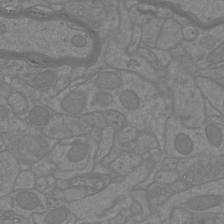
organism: Mouse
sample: Cortical neurons